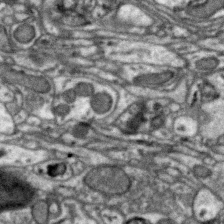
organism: Zebra finch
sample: Brain